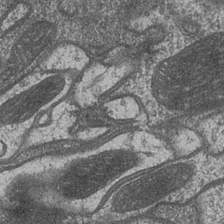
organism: Drosophila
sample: Optic medulla